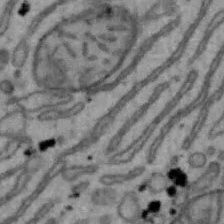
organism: Mouse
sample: Liver